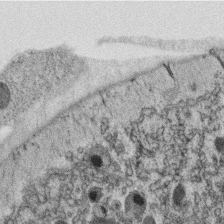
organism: C. elegans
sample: C. elegans oocyte; sperm cells